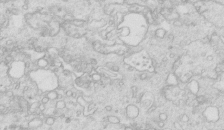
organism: Mouse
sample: Multiciliated cells